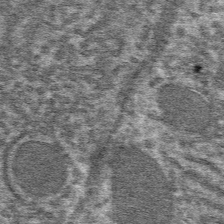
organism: Mouse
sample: Mouse hepatocytes